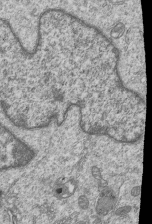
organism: Human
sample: MDA-MB-231 cells